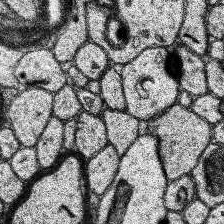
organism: Human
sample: Temporal Lobe